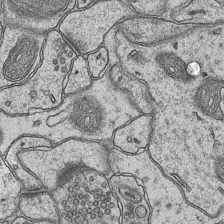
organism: Mouse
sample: CA1 Hippocampus